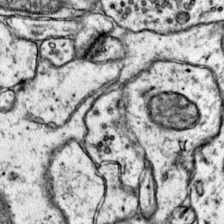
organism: Mouse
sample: Primary visual cortex